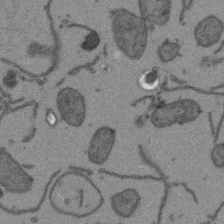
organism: Arabidopsis thaliana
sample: Root tip